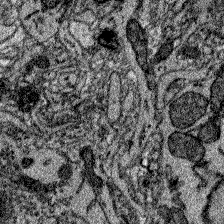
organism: Zebrafish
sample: Larval olfactory bulb